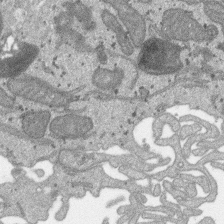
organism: Human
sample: Lung epithelial cells infected with SARS-CoV-2